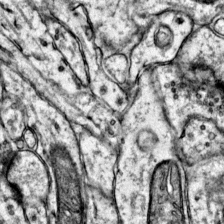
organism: Mouse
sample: Primary visual cortex